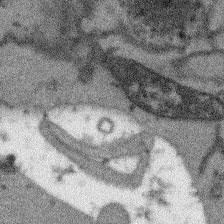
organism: Arabidopsis thaliana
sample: Root tip